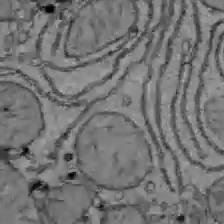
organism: C57BL Mouse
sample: Liver